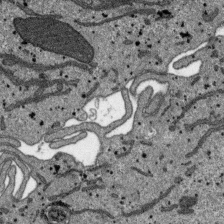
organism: Human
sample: Lung epithelial cells, uninfected (mock) control